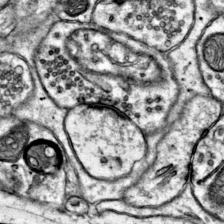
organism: Mouse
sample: Primary visual cortex